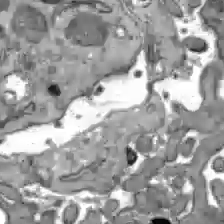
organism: C57BL Mouse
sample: Liver